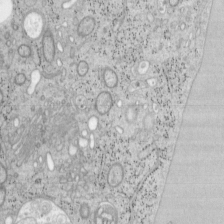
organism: Mouse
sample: OT-I killer T cells with ID8 ovarian cancer cells